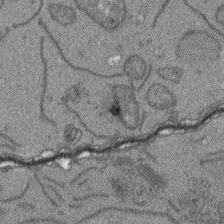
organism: Arabidopsis thaliana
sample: Root tip